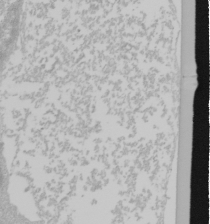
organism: Mouse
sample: Cancer cell death in ED-1 cells